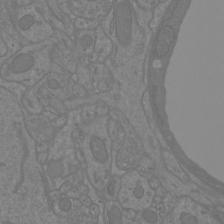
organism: Mouse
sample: Cortical neurons